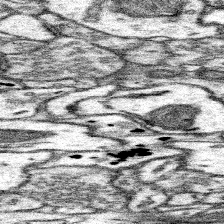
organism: Mouse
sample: Somatosensory cortex neuropil